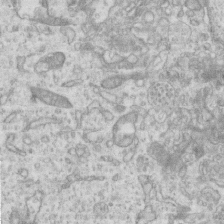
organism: Mouse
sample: Centriole in ependymal cells